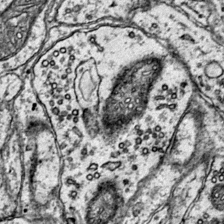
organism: Mouse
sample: Primary visual cortex